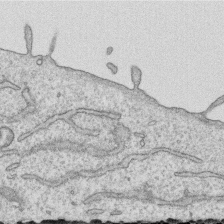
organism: Human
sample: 1205lu cells